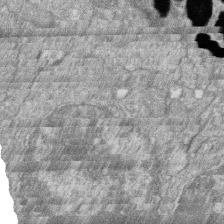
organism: Zebrafish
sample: Cilia; retinal pigment epithelium